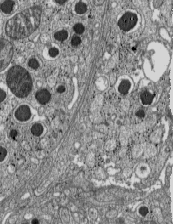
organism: C57BL Mouse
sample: Pancreatic islet